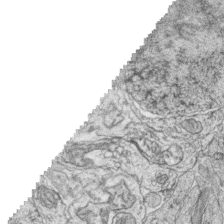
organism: Zebrafish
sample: synaptic ribbons in rod cells and cone cells